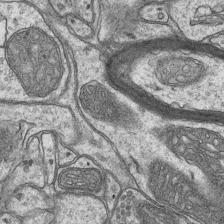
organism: Mouse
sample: CA1 Hippocampus